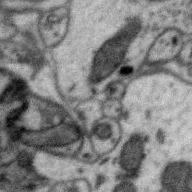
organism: Zebra finch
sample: Brain